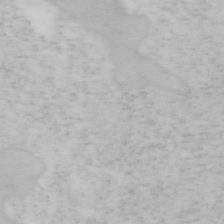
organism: Mouse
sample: OT-I killer T cells with ID8 ovarian cancer cells